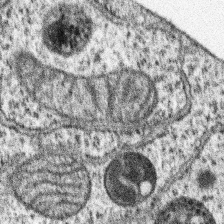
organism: Human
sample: HeLa cells